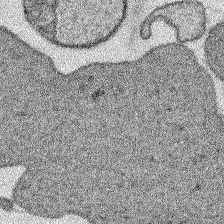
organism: Human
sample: HeLa cells